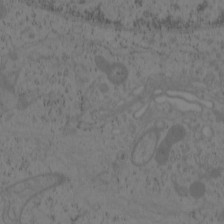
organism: Human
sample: HeLa cells